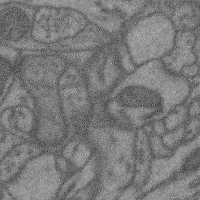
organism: Mouse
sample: Cerebral cortex